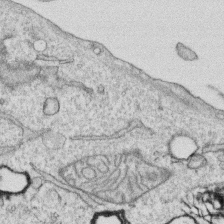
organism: Human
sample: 1205lu cells